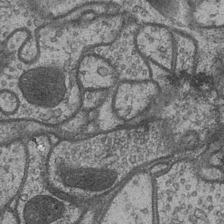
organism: Drosophila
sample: Optic medulla